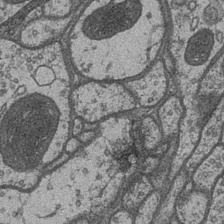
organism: Drosophila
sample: Optic medulla